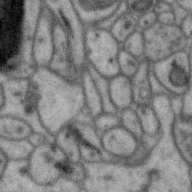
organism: Zebra finch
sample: Brain